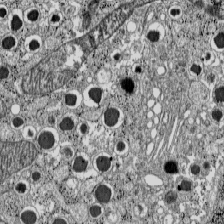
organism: C57BL Mouse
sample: Pancreatic islet